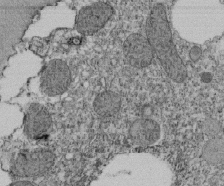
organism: Tetrahymena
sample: Cilia in tetrahymena